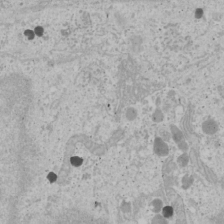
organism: Human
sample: Mitochondria in U2OS cells